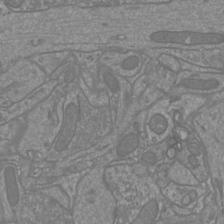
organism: Mouse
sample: Cortical neurons